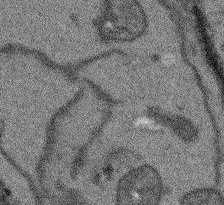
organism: Arabidopsis thaliana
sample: Root tip